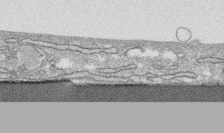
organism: Human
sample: CRL-1474